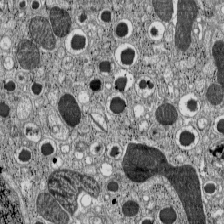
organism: C57BL Mouse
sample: Pancreatic islet